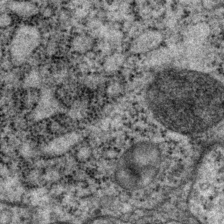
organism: P. pacificus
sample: Pharynx